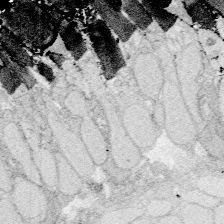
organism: Zebrafish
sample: Whole-Brain